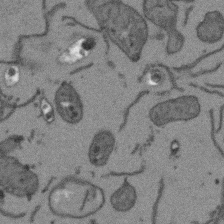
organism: Arabidopsis thaliana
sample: Root tip